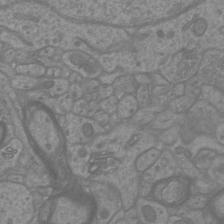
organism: Mouse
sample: Cortical neurons